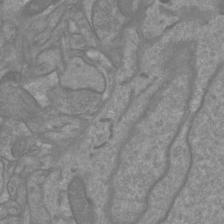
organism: Mouse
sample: Cortical neurons